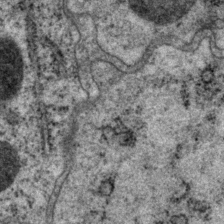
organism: P. pacificus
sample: Pharynx